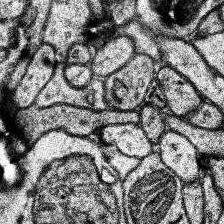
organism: Human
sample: Temporal Lobe